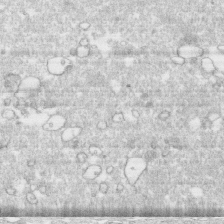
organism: Human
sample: CRL-1474